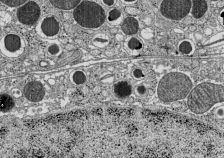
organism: C57BL Mouse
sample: Pancreatic islet